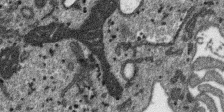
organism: Human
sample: Lung epithelial cells infected with SARS-CoV-2